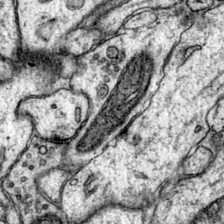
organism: Mouse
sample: Primary visual cortex